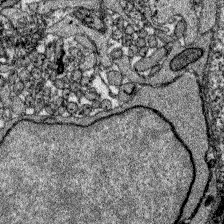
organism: Zebrafish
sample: Larval olfactory bulb